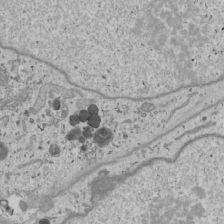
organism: Human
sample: Mitochondria in U2OS cells